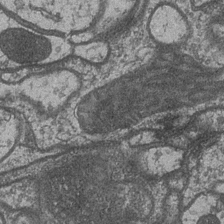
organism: Drosophila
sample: Optic medulla